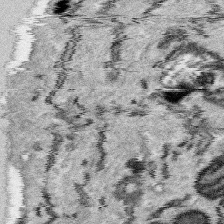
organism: Human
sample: HeLa cells